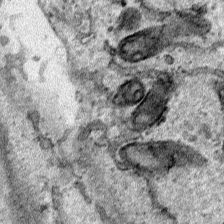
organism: Human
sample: Mitochondria in HCT116 cells